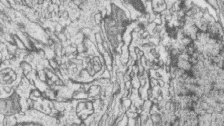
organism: Zebrafish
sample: synaptic ribbons in rod cells and cone cells